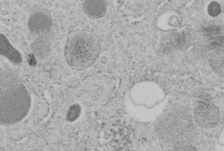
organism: C. elegans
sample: C. elegans embryo early stage